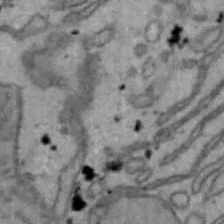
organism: Mouse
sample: Liver